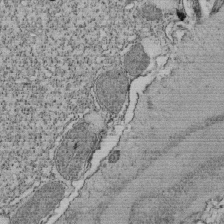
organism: Tetrahymena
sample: Cilia in tetrahymena